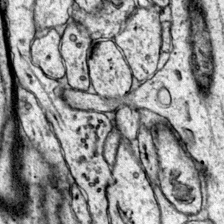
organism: Mouse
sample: Primary visual cortex